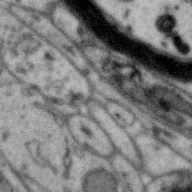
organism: Zebra finch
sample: Brain